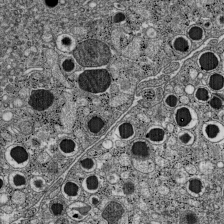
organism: C57BL Mouse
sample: Pancreatic islet